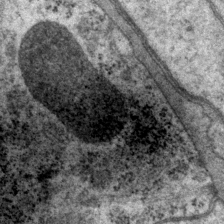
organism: P. pacificus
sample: Pharynx